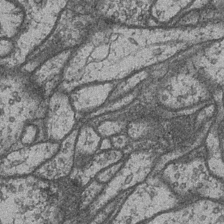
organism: Drosophila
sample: Optic medulla